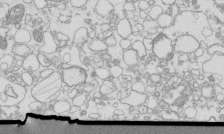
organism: Mouse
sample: Macrophages